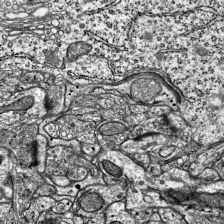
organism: Mouse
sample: Visual Cortex